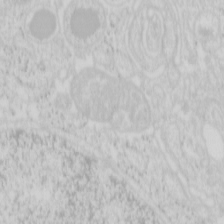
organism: Mouse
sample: Pancreas